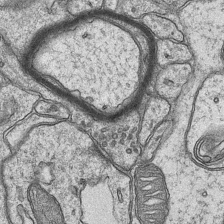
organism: Mouse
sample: CA1 Hippocampus